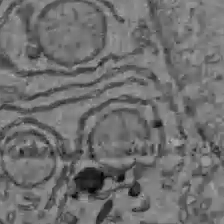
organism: C57BL Mouse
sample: Liver